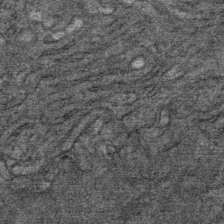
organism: Mouse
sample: Mouse Salivary gland